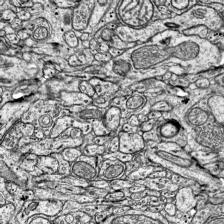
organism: Mouse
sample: Visual Cortex